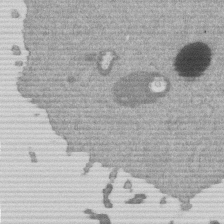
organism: Mouse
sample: Dividing mouse embryo 1 cell stage